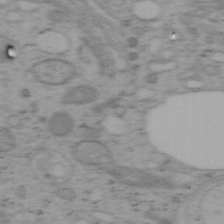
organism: Mouse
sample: OT-I killer T cells with ID8 ovarian cancer cells